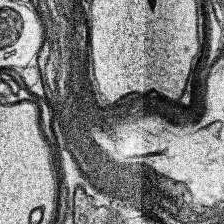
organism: Human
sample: Temporal Lobe